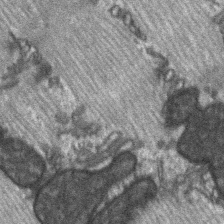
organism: C57BL Mouse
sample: Soleus